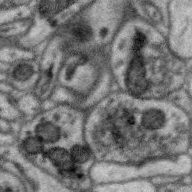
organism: Zebra finch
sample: Brain